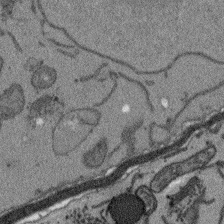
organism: Arabidopsis thaliana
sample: Root tip